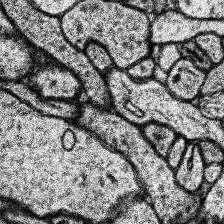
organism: Human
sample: Temporal Lobe